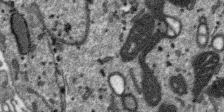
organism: Human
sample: Lung epithelial cells infected with SARS-CoV-2